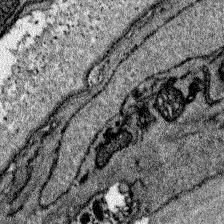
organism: Zebrafish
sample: Larval olfactory bulb